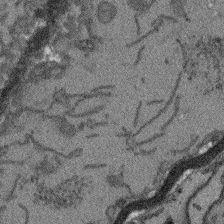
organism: Arabidopsis thaliana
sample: Root tip